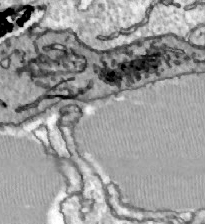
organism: Zebrafish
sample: Actinotrichia fibers